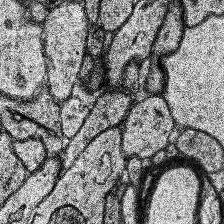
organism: Human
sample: Temporal Lobe